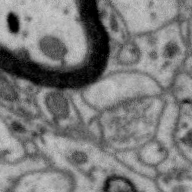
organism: Zebra finch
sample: Brain